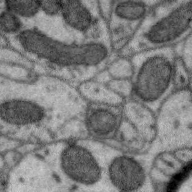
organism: Zebra finch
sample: Brain